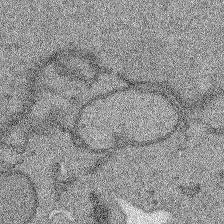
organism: Human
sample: HeLa cells